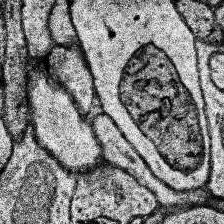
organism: Human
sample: Temporal Lobe